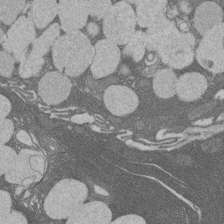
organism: Rat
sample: Salivary granule